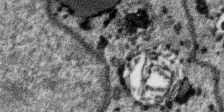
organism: Human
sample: Lung epithelial cells infected with SARS-CoV-2